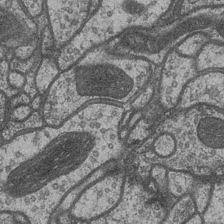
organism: Drosophila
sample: Optic medulla